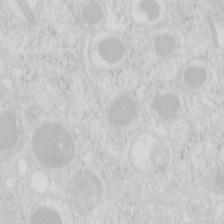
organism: Mouse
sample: Pancreas